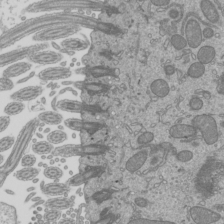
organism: Mouse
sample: Cilia; mouse epididymis